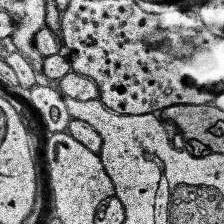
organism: Human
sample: Temporal Lobe